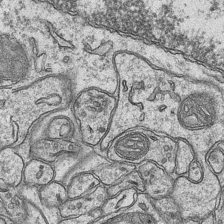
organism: Mouse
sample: CA1 Hippocampus